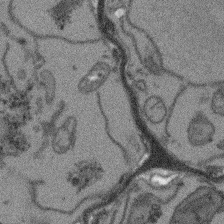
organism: Arabidopsis thaliana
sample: Root tip